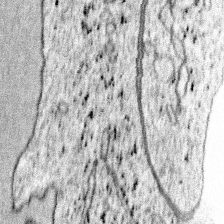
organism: Human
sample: HeLa cells